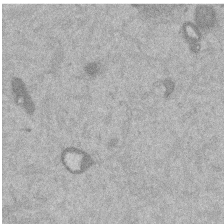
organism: Mouse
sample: Dividing mouse embryo 1 cell stage